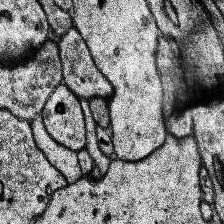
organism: Human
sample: Temporal Lobe